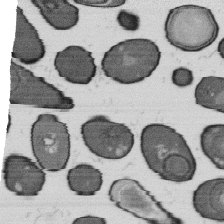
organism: B. subtilis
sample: Bacterial spore